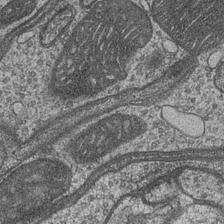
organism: Drosophila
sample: Optic medulla